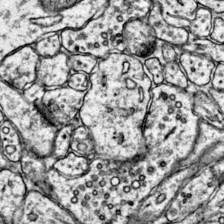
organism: Mouse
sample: Primary visual cortex